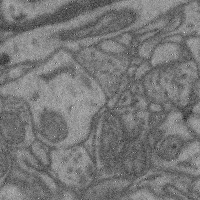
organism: Mouse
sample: Cerebral cortex